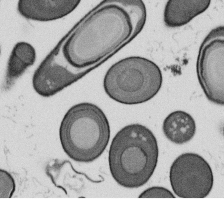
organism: B. subtilis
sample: Bacterial spore